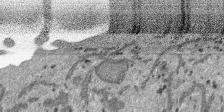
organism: Human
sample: Lung epithelial cells infected with SARS-CoV-2